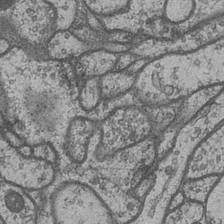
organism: Drosophila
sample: Optic medulla